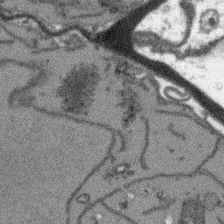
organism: Arabidopsis thaliana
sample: Root tip